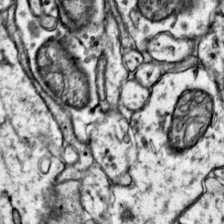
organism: Mouse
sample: Primary visual cortex